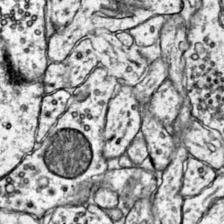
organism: Mouse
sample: Primary visual cortex